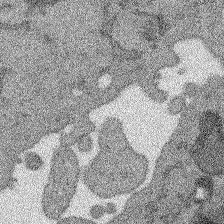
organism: Human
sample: HeLa cells